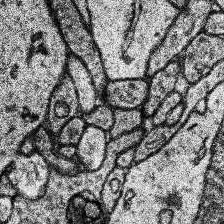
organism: Human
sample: Temporal Lobe